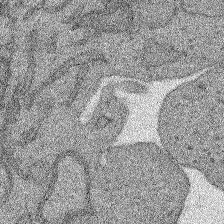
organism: Human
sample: HeLa cells